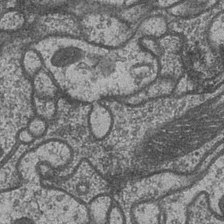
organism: Drosophila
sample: Optic medulla